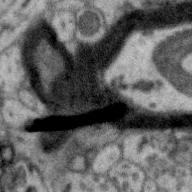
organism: Zebra finch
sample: Brain